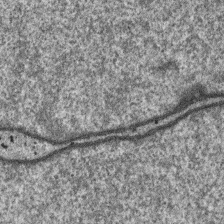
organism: Human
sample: Lung epithelial cells infected with SARS-CoV-2